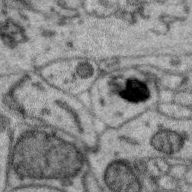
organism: Zebra finch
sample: Brain